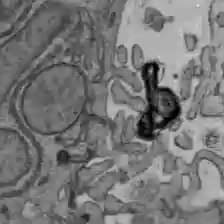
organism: C57BL Mouse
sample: Liver